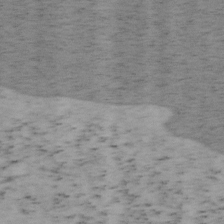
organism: Mouse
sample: OT-I killer T cells with ID8 ovarian cancer cells